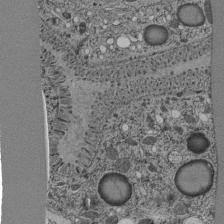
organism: C. elegans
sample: C. elegans pharynx